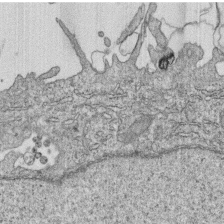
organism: Human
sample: HeLa cell HIV synapse